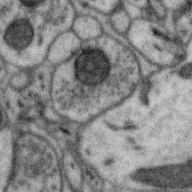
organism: Zebra finch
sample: Brain